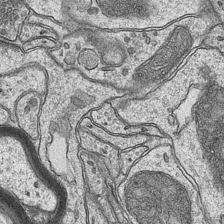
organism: Mouse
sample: CA1 Hippocampus